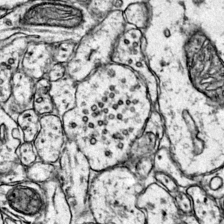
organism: Mouse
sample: Primary visual cortex